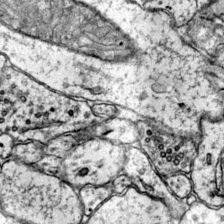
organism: Mouse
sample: Primary visual cortex